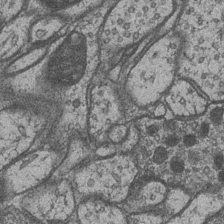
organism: Drosophila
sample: Optic medulla